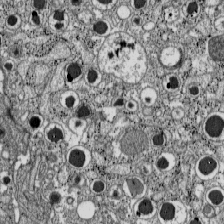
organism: C57BL Mouse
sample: Pancreatic islet